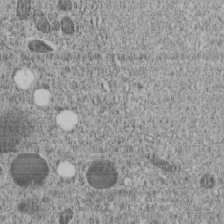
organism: C. elegans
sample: C. elegans embryo early stage